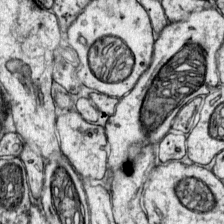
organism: Mouse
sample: Primary visual cortex